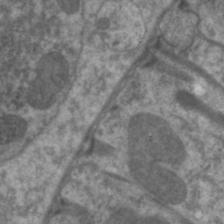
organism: C. elegans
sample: Pharynx